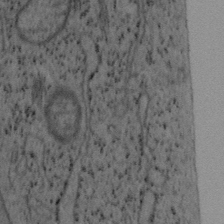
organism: Human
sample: HeLa cells